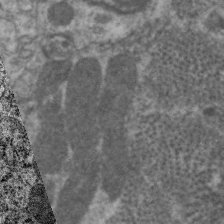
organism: C. elegans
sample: Pharynx